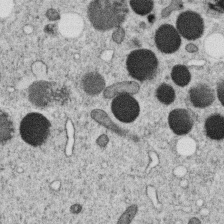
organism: C. elegans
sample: C. elegans oocyte; sperm cells